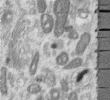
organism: Human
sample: Centriole in RPE cells